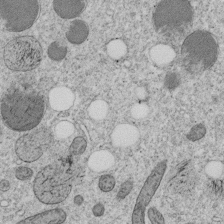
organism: C. elegans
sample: C. elegans embryo early stage